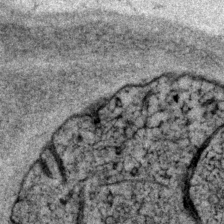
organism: P. pacificus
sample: Pharynx